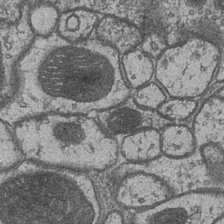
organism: Drosophila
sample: Optic medulla